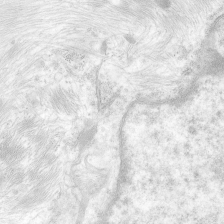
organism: Human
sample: Neocortex